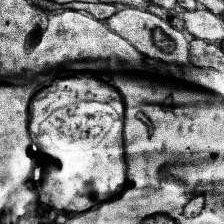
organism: Human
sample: Temporal Lobe